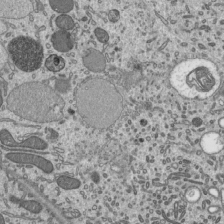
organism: Mouse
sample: Mouse epididymis efferent ductule cilia